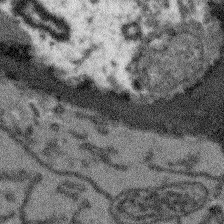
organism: Arabidopsis thaliana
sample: Root tip